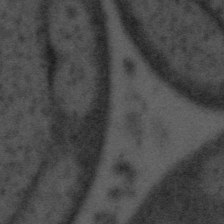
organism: Tuwongella immobilis